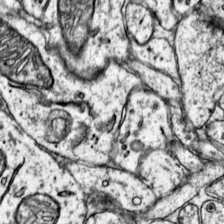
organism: Mouse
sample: Primary visual cortex